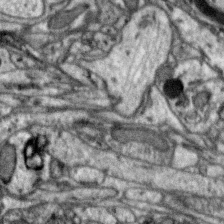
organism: Zebra finch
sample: Brain